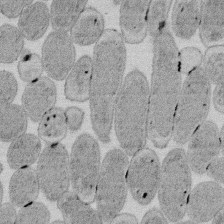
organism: E. coli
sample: Bacterial nucleoid